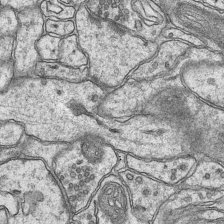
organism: Mouse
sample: CA1 Hippocampus